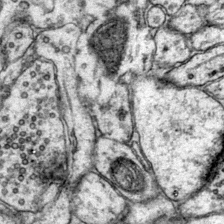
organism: Mouse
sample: Primary visual cortex